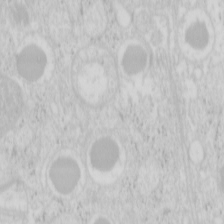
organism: Mouse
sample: Pancreas